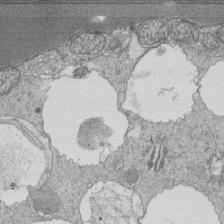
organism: Tetrahymena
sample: Cilia in tetrahymena